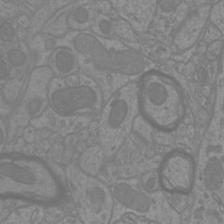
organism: Mouse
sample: Cortical neurons